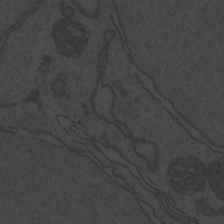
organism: Zebrafish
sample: Macrophage infected with Toxoplasma gondii